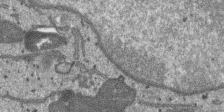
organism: Human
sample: Lung epithelial cells infected with SARS-CoV-2